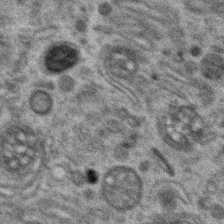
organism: Zebrafish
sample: Zebrafish embryo